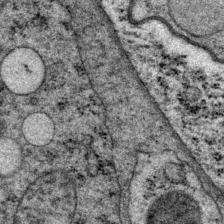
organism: P. pacificus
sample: Pharynx